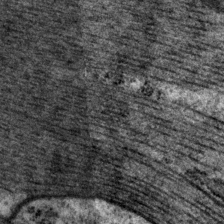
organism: P. pacificus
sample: Pharynx